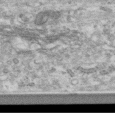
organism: Human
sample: Centriole in RPE cells